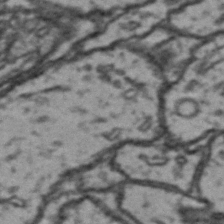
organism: Drosophila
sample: Brain